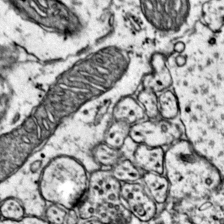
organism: Mouse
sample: Primary visual cortex